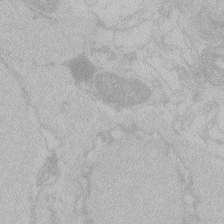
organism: Zebrafish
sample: Macrophage infected with Toxoplasma gondii